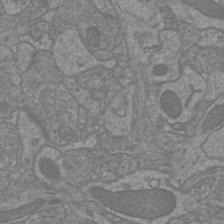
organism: Mouse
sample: Cortical neurons